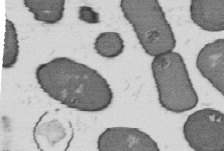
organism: B. subtilis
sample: Bacterial spore